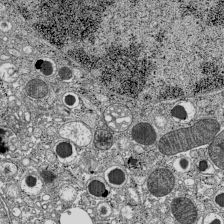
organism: C57BL Mouse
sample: Pancreatic islet